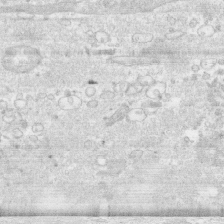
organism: Human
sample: CRL-1474